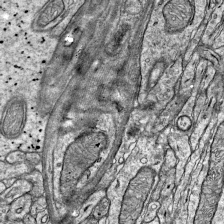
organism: Mouse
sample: Visual Cortex